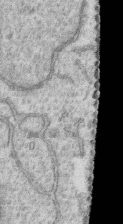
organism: Human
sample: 1205lu cells